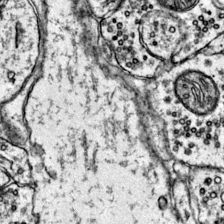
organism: Mouse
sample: Primary visual cortex